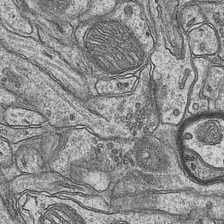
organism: Mouse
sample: CA1 Hippocampus